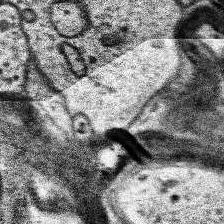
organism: Human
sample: Temporal Lobe